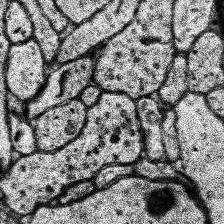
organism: Human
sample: Temporal Lobe